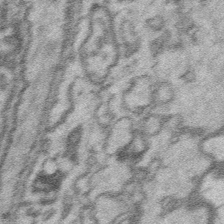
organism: Platynereis dumerilii